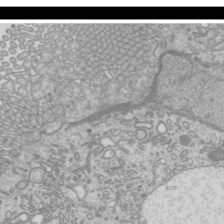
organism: Mouse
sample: Cilia; mouse epididymis